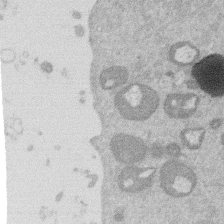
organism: Mouse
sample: Dividing mouse embryo 1 cell stage